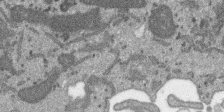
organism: Human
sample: Lung epithelial cells infected with SARS-CoV-2